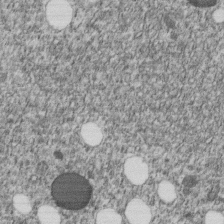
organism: C. elegans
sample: C. elegans embryo early stage